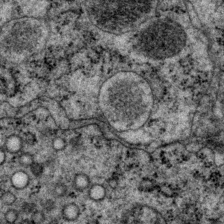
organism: P. pacificus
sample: Pharynx